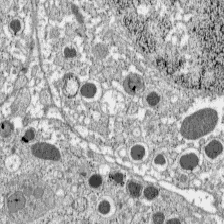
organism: C57BL Mouse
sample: Pancreatic islet